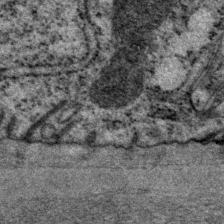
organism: P. pacificus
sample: Pharynx